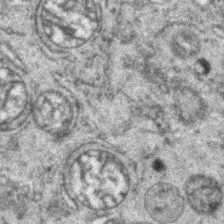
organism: Zebrafish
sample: Zebrafish embryo